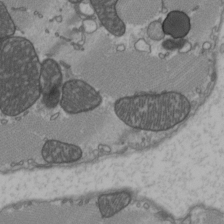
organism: C57BL Mouse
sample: Heart